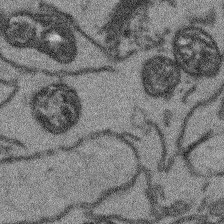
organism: Arabidopsis thaliana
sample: Root tip